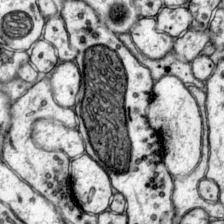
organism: Mouse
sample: Primary visual cortex